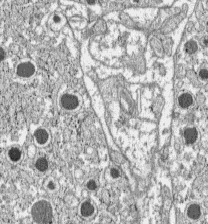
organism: C57BL Mouse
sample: Pancreatic islet